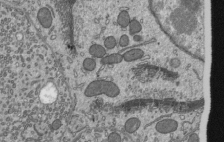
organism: Mouse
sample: Mouse epididymis efferent ductule cilia